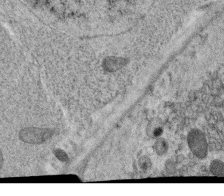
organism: C. elegans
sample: C. elegans oocyte; sperm cells